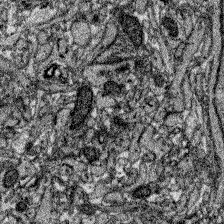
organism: Zebrafish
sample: Larval olfactory bulb